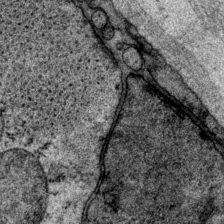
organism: P. pacificus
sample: Pharynx